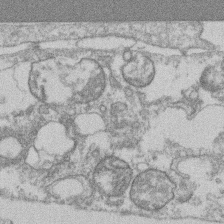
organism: Mouse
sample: T cell stromal cell synapse